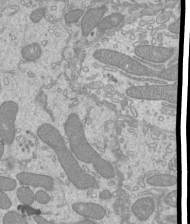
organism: Mouse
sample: Cilia; mouse epididymis